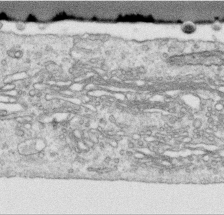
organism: Human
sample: Centriole in RPE cells